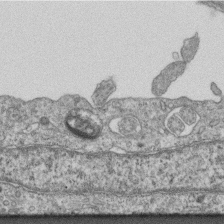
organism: Mouse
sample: Centriole in ependymal cells